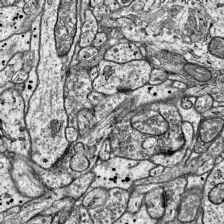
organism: Mouse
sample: Visual Cortex